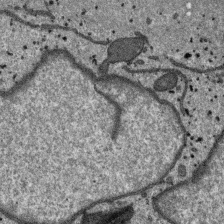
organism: Human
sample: Lung epithelial cells, uninfected (mock) control